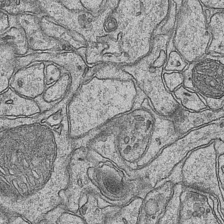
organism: Mouse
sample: CA1 Hippocampus